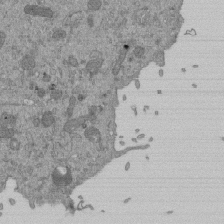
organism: Mouse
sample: ED-1 cell nuclei; centrioles